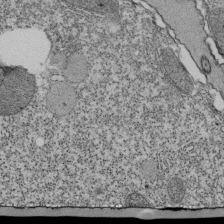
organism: Tetrahymena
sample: Cilia in tetrahymena